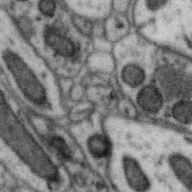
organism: Zebra finch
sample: Brain